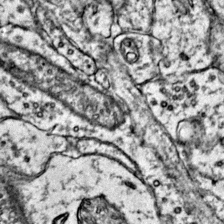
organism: Mouse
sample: Primary visual cortex